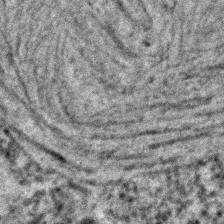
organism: C. elegans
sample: C. elegans embryo